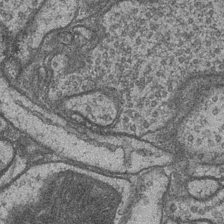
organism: Drosophila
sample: Optic medulla